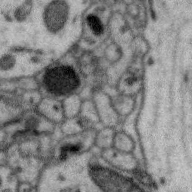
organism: Zebra finch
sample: Brain